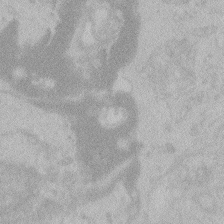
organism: Zebrafish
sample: Macrophage infected with Toxoplasma gondii